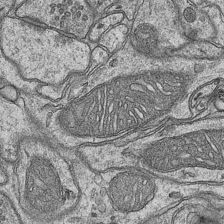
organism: Mouse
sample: CA1 Hippocampus